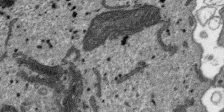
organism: Human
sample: Lung epithelial cells, uninfected (mock) control